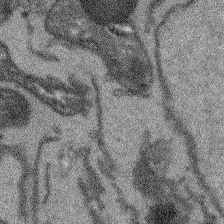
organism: Arabidopsis thaliana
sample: Root tip